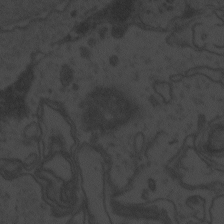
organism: Zebrafish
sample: Macrophage infected with Toxoplasma gondii